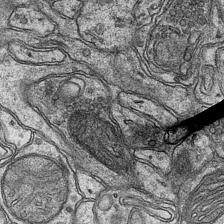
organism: Mouse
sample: CA1 Hippocampus